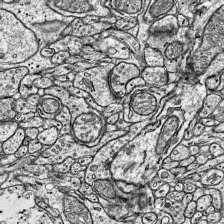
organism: Mouse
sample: Visual Cortex